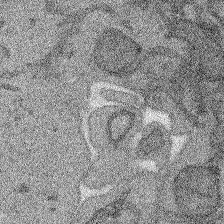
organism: Human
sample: HeLa cells